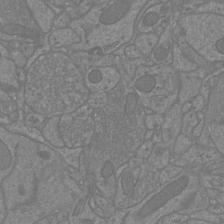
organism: Mouse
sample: Cortical neurons